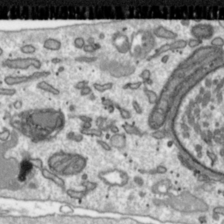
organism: Toxoplasma gondii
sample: Parasites in a vacuole inside a host cell